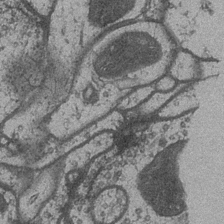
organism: Drosophila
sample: Optic medulla